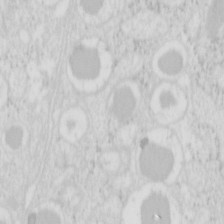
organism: Mouse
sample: Pancreas